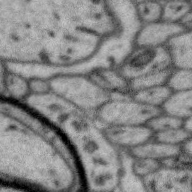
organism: Zebra finch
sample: Brain